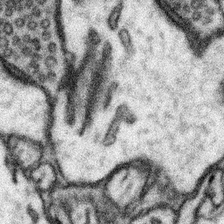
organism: Mouse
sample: Somatosensory cortex neuropil